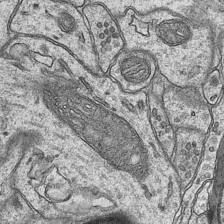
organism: Mouse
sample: CA1 Hippocampus